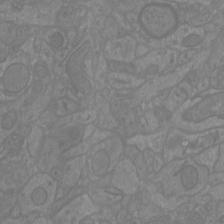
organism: Mouse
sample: Cortical neurons